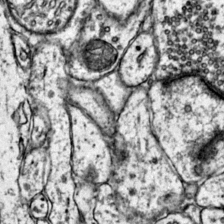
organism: Mouse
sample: Primary visual cortex